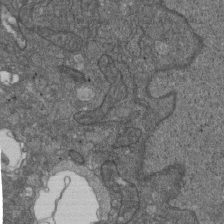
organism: Drosophila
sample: Nephrocyte